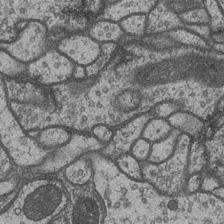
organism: Drosophila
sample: Optic medulla